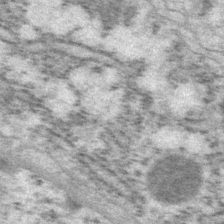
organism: P. pacificus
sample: Pharynx